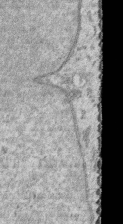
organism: Human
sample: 1205lu cells